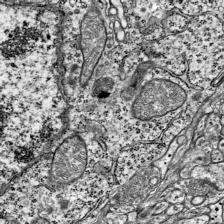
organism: Mouse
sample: Visual Cortex